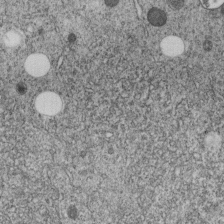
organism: C. elegans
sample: C. elegans embryo early stage